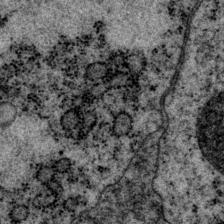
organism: P. pacificus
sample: Pharynx